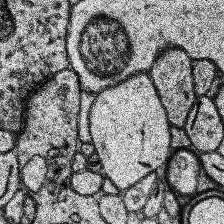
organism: Human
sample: Temporal Lobe